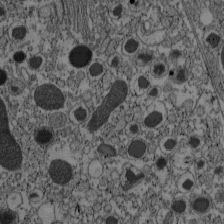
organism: C57BL Mouse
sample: Pancreatic islet